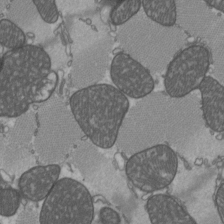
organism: C57BL Mouse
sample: Heart